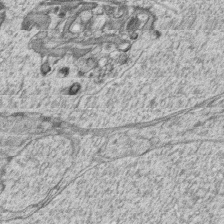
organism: Zebrafish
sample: synaptic ribbons in rod cells and cone cells